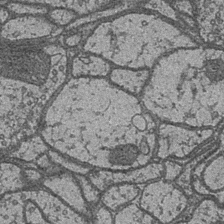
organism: Drosophila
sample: Optic medulla